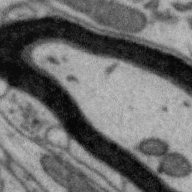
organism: Zebra finch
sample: Brain